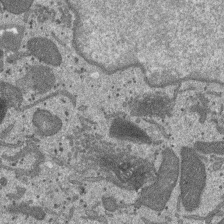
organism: Human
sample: Lung epithelial cells infected with SARS-CoV-2